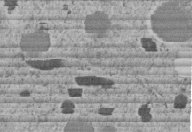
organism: C. elegans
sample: C. elegans embryo early stage